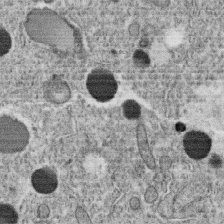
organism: C. elegans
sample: C. elegans oocyte; sperm cells